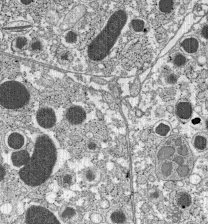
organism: C57BL Mouse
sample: Pancreatic islet